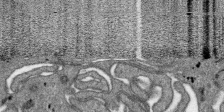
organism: Human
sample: Lung epithelial cells, uninfected (mock) control